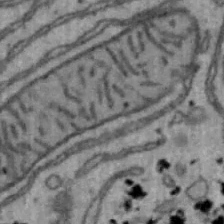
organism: Mouse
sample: Liver